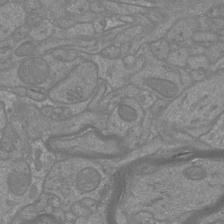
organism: Mouse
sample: Cortical neurons